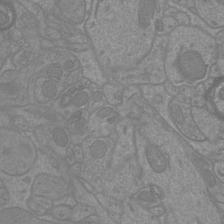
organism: Mouse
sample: Cortical neurons